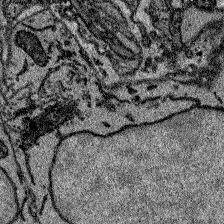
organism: Zebrafish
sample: Larval olfactory bulb